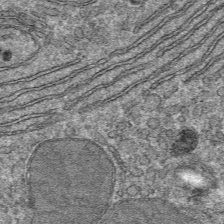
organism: Mouse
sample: Mouse hepatocytes